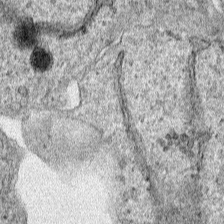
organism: Human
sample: Mitochondria in HCT116 cells